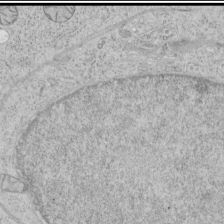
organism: Human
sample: Mitochondria in HCT116 cells